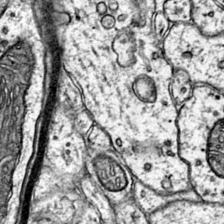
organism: Mouse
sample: Primary visual cortex